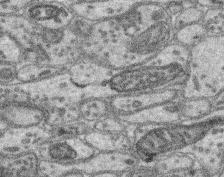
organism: Mouse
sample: Retina